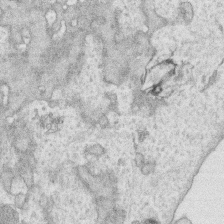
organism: Human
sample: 1205lu cells